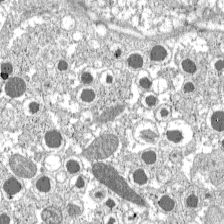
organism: C57BL Mouse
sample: Pancreatic islet